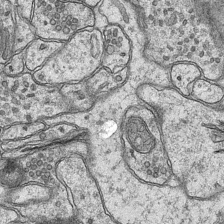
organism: Mouse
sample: CA1 Hippocampus